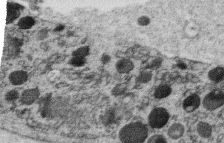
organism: C. elegans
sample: C. elegans oocyte; sperm cells